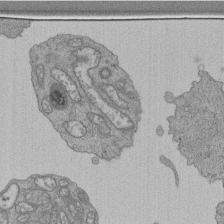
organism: Human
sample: Retinal organoid Rod and Cone cells